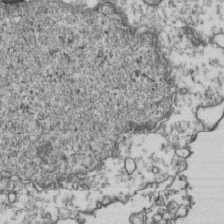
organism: Human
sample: Activated Jurkat CD4+ T cells